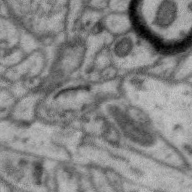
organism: Zebra finch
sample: Brain